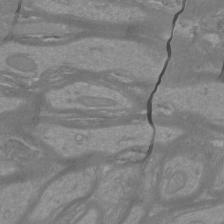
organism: Mouse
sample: Cortical neurons